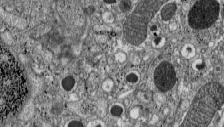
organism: C57BL Mouse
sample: Pancreatic islet